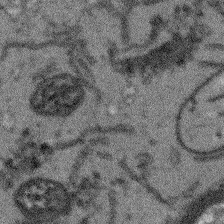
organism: Arabidopsis thaliana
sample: Root tip